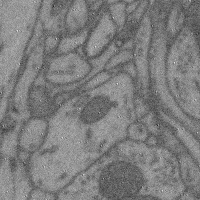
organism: Mouse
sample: Cerebral cortex